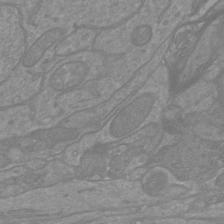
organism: Mouse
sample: Cortical neurons